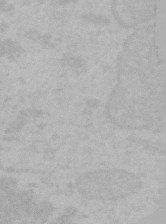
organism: Mouse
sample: Choroid plexus